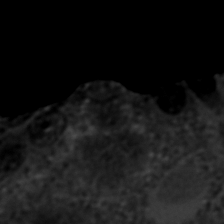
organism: C. elegans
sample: C. elegans embryo